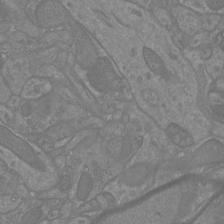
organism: Mouse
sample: Cortical neurons